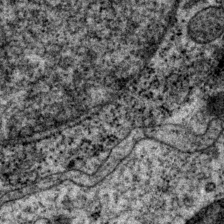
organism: P. pacificus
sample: Pharynx